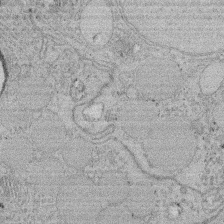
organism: Rat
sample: Salivary granule